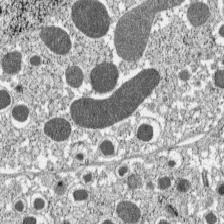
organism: C57BL Mouse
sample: Pancreatic islet